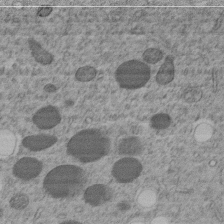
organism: C. elegans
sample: C. elegans embryo early stage